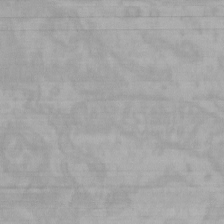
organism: Mouse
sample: Choroid plexus